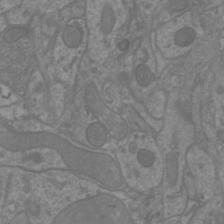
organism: Mouse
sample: Cortical neurons